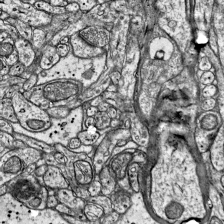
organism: Mouse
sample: Visual Cortex